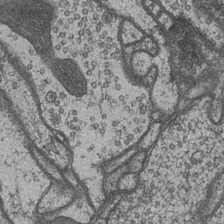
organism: Drosophila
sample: Optic medulla